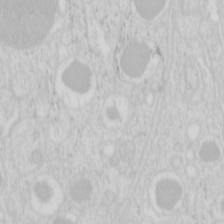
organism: Mouse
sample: Pancreas